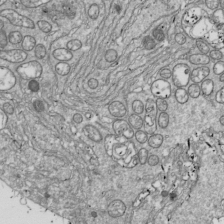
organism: Drosophila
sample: Cell division; meiosis; drosophila spermatocytes